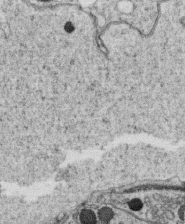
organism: C. elegans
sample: C. elegans oocyte; sperm cells